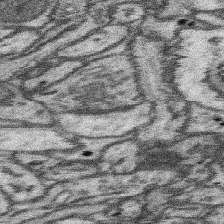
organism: Mouse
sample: Somatosensory cortex neuropil